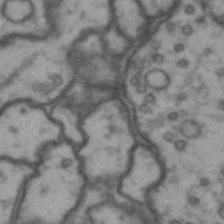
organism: Drosophila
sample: Brain